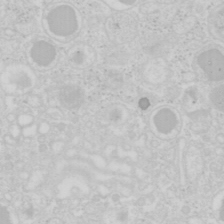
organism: Mouse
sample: Pancreas